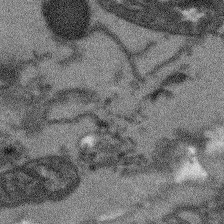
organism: Arabidopsis thaliana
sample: Root tip